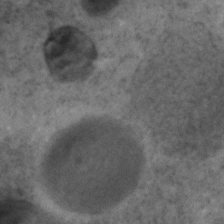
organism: C. elegans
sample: C. elegans embryo